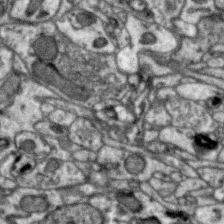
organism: Zebra finch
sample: Brain